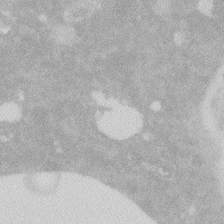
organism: Zebrafish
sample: Macrophage